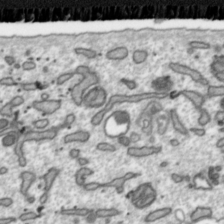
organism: Toxoplasma gondii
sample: Parasites in a vacuole inside a host cell